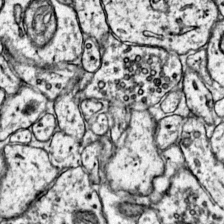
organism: Mouse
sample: Primary visual cortex